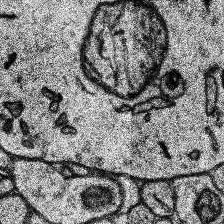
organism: Human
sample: Temporal Lobe